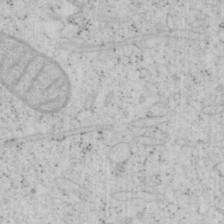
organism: Human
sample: HeLa cells